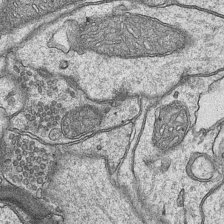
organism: Mouse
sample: CA1 Hippocampus